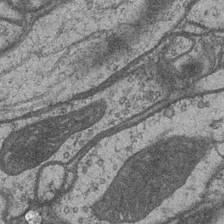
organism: Drosophila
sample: Optic medulla